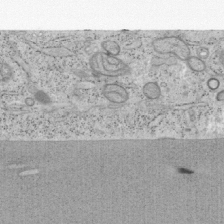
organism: Human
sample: HeLa cells